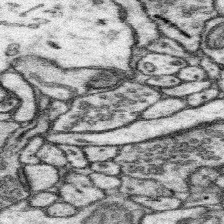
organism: Mouse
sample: Somatosensory cortex neuropil